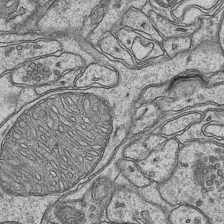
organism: Mouse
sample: CA1 Hippocampus